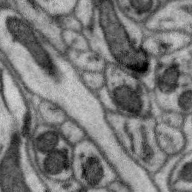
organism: Zebra finch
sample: Brain